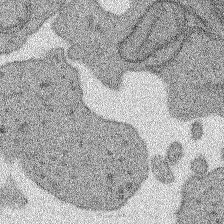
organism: Human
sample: HeLa cells